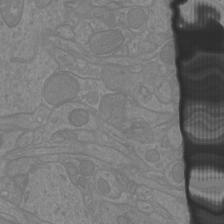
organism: Mouse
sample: Cortical neurons